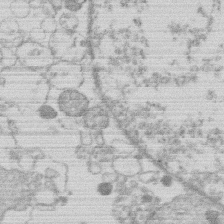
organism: Human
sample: Macrophage cells